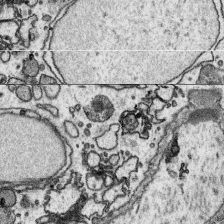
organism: Platynereis dumerilii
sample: Parapodia